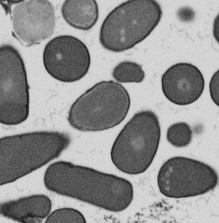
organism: B. subtilis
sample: Bacterial spore